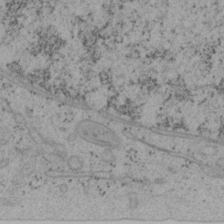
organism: Human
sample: HeLa cells